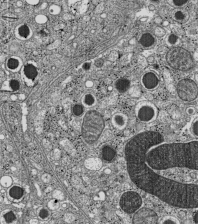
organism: C57BL Mouse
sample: Pancreatic islet